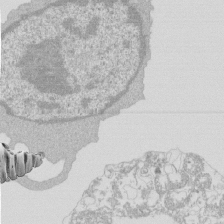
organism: Mouse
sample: Activated Pmel transgenic CD8+ T Cells